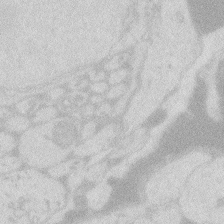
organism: Zebrafish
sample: Macrophage